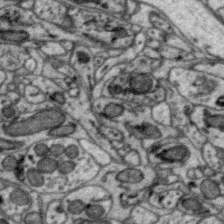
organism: Zebra finch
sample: Brain